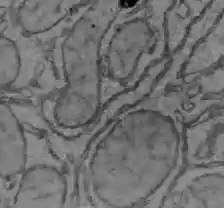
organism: C57BL Mouse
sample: Liver